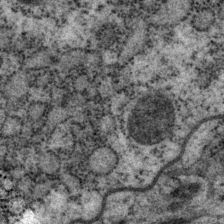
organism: P. pacificus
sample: Pharynx